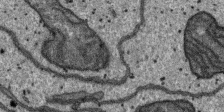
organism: Human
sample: Lung epithelial cells, uninfected (mock) control